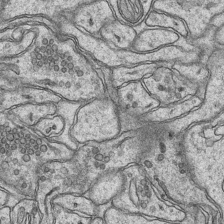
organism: Mouse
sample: CA1 Hippocampus